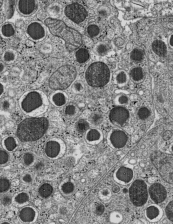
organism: C57BL Mouse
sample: Pancreatic islet